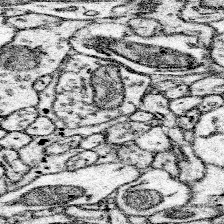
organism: Mouse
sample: Somatosensory cortex neuropil